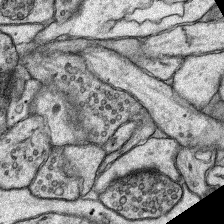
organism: Rat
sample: Hippocampus